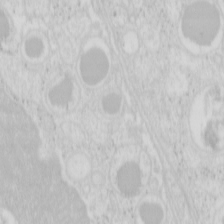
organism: Mouse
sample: Pancreas